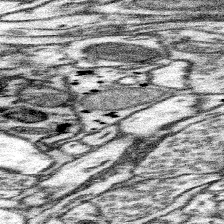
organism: Mouse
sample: Somatosensory cortex neuropil